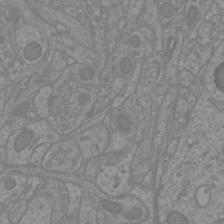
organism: Mouse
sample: Cortical neurons